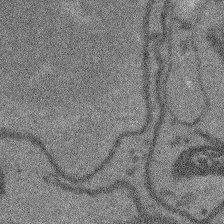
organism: Arabidopsis thaliana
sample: Root tip